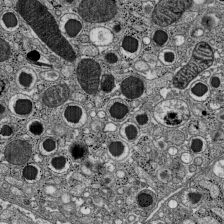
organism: C57BL Mouse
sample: Pancreatic islet